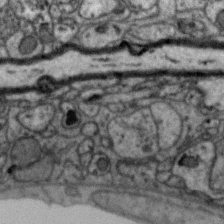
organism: Zebra finch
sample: Brain